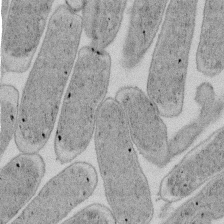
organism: E. coli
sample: Bacterial nucleoid